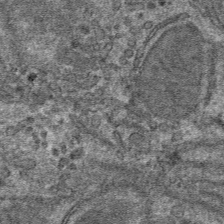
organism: Mouse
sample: Mouse hepatocytes